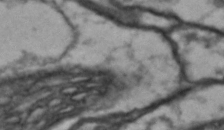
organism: Drosophila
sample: Brain